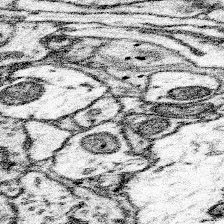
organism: Mouse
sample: Somatosensory cortex neuropil